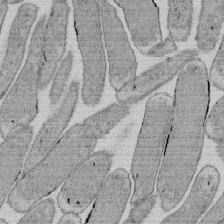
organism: E. coli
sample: Bacterial nucleoid